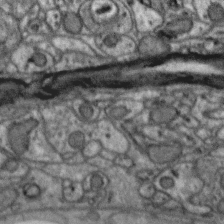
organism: Zebra finch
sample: Brain